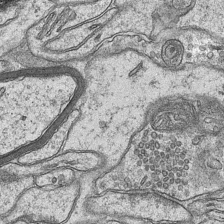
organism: Mouse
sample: CA1 Hippocampus